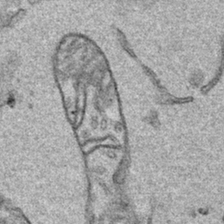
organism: Human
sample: Mitochondria in HCT116 cells